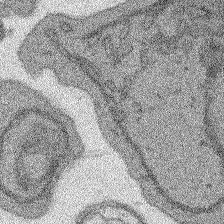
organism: Human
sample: HeLa cells